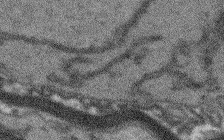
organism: Arabidopsis thaliana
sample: Root tip